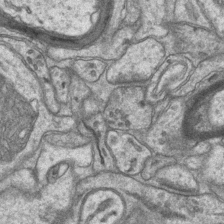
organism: Mouse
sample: CA1 Hippocampus